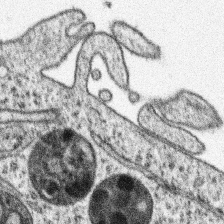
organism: Human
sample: HeLa cells